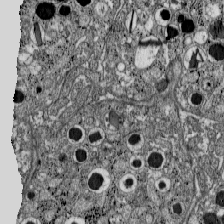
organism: C57BL Mouse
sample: Pancreatic islet